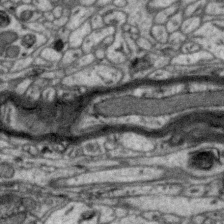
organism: Zebra finch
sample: Brain